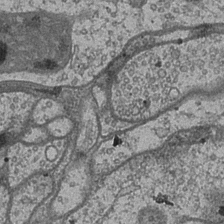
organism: Drosophila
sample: Optic medulla